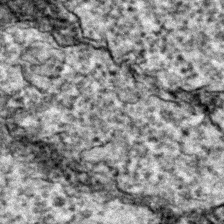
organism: Zebrafish